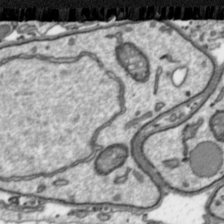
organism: Toxoplasma gondii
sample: Parasites in a vacuole inside a host cell